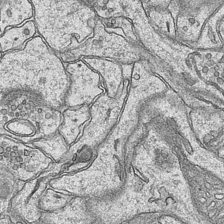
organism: Mouse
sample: CA1 Hippocampus